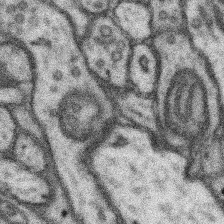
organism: Mouse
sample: Somatosensory cortex neuropil